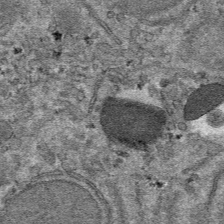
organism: Mouse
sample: Mouse hepatocytes